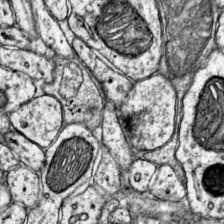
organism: Mouse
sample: Primary visual cortex